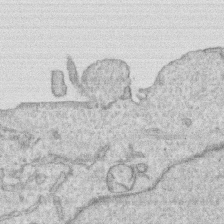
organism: Human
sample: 1205lu cells